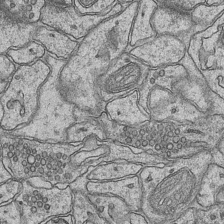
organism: Mouse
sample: CA1 Hippocampus